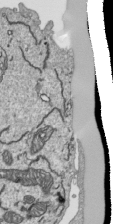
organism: Human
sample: Mitochondria in HCT116 cells